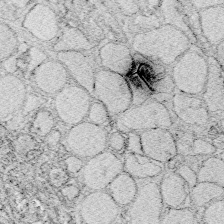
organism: Zebrafish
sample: Whole-Brain